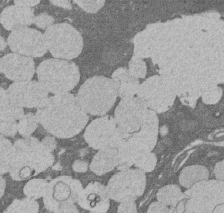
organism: Rat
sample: Salivary granule